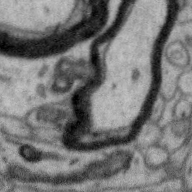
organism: Zebra finch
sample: Brain